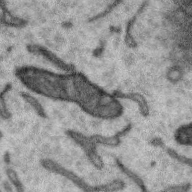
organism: Zebra finch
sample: Brain